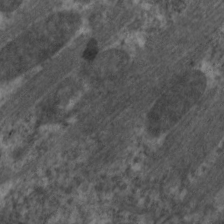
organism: C. elegans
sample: Pharynx